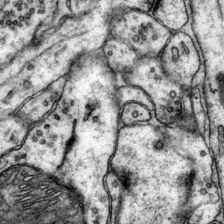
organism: Mouse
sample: Primary visual cortex